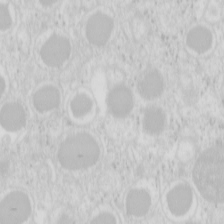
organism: Mouse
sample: Pancreas